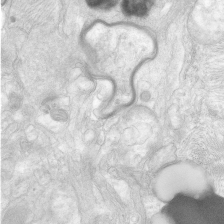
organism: Human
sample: Neocortex